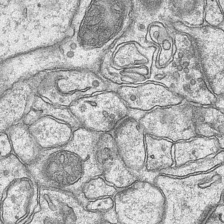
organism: Mouse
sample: CA1 Hippocampus